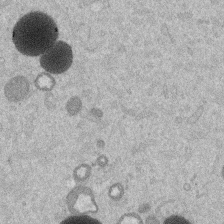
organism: Mouse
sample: Dividing mouse embryo 1 cell stage